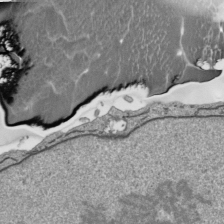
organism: Human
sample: Mitochondria in HCT116 cells